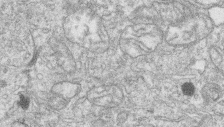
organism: Human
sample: HeLa cell HIV synapse